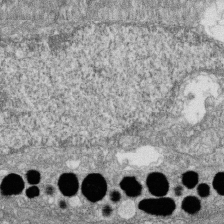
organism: Zebrafish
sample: Cilia; retinal pigment epithelium